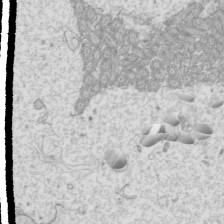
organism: Mouse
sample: Cilia; mouse epididymis